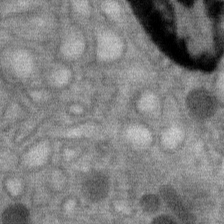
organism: Mouse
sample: Mouse Salivary gland